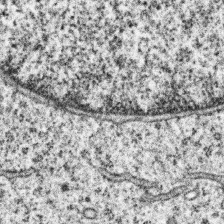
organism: Human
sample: HeLa cells